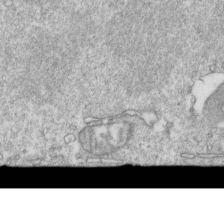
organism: Mouse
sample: Activated OT-1 CD8+ T cells